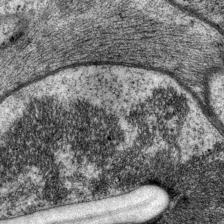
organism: P. pacificus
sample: Pharynx